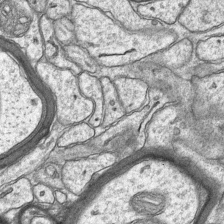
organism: Mouse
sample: CA1 Hippocampus